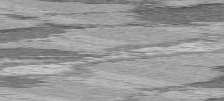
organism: C57BL Mouse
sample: Heart